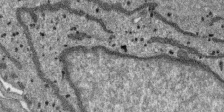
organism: Human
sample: Lung epithelial cells, uninfected (mock) control